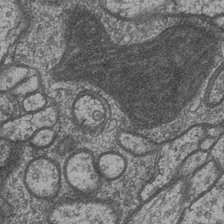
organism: Drosophila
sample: Optic medulla